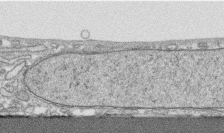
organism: Human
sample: CRL-1474